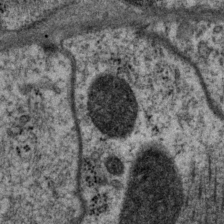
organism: P. pacificus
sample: Pharynx